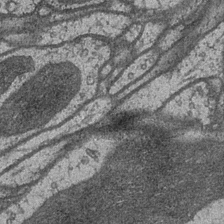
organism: Drosophila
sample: Optic medulla